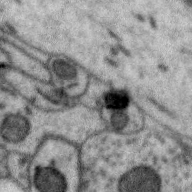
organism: Zebra finch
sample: Brain